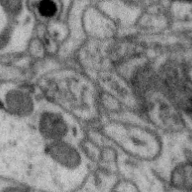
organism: Zebra finch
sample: Brain